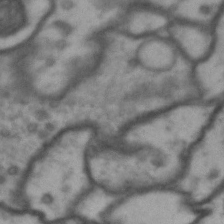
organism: Drosophila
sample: Brain